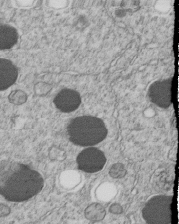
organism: C. elegans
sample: C. elegans embryo early stage